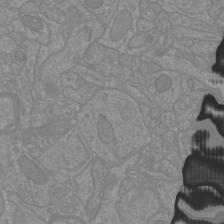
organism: Mouse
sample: Cortical neurons